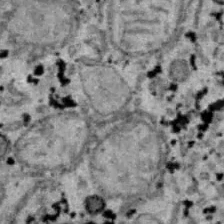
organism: Mouse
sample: Liver from an obese (ob/ob) mouse